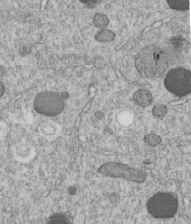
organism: C. elegans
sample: C. elegans embryo early stage